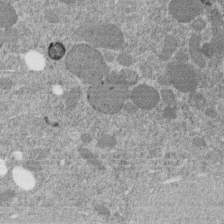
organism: C. elegans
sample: C. elegans embryo early stage